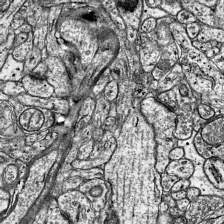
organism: Mouse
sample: Visual Cortex